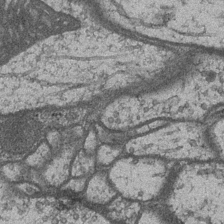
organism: Drosophila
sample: Optic medulla